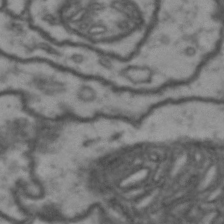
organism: Drosophila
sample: Brain